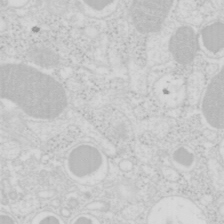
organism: Mouse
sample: Pancreas